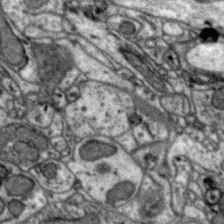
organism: Zebra finch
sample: Brain